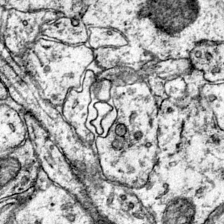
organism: Mouse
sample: Primary visual cortex